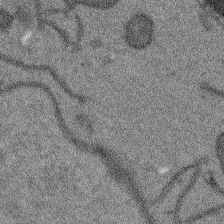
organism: Arabidopsis thaliana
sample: Root tip